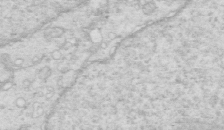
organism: Mouse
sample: Multiciliated cells